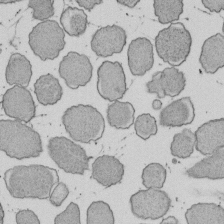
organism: E. coli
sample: Bacterial nucleoid